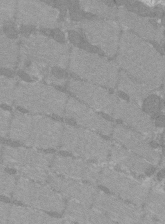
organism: C57BL Mouse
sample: Tibialis anterior muscle cell